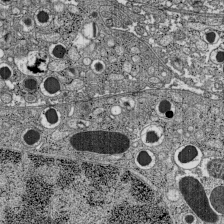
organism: C57BL Mouse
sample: Pancreatic islet